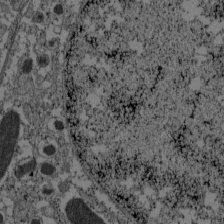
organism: C57BL Mouse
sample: Pancreatic islet